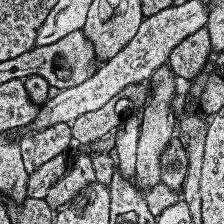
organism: Human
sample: Temporal Lobe